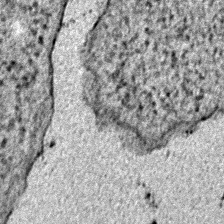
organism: E. coli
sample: E. Coli Bacteria